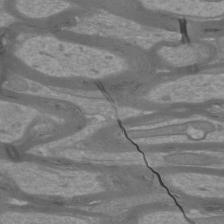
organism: Mouse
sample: Cortical neurons